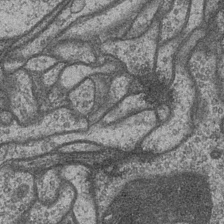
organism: Drosophila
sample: Optic medulla